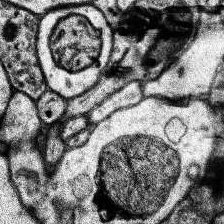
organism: Human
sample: Temporal Lobe